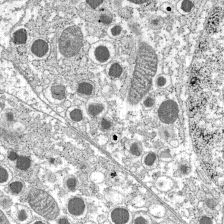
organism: C57BL Mouse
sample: Pancreatic islet